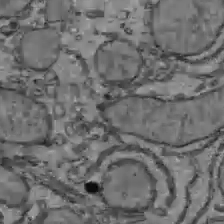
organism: C57BL Mouse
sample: Liver